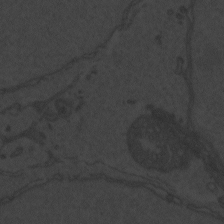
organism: Zebrafish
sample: Macrophage infected with Toxoplasma gondii